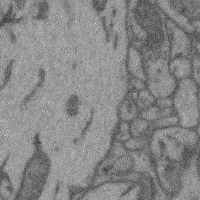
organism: Mouse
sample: Cerebral cortex